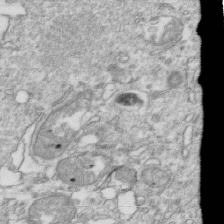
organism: Mouse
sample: Activated OT-1 CD8+ T cells